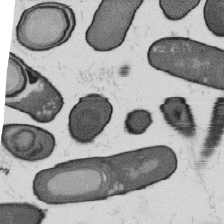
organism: B. subtilis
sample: Bacterial spore